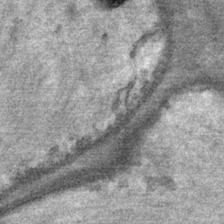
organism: Mouse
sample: Mouse Salivary gland